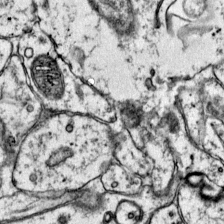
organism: Mouse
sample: Primary visual cortex